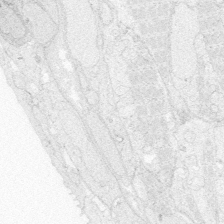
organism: Zebrafish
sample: Whole-Brain